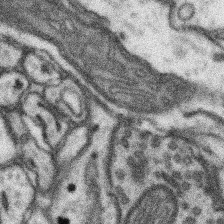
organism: Mouse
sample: Somatosensory cortex neuropil